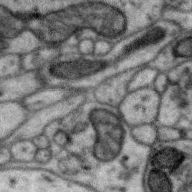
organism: Zebra finch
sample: Brain